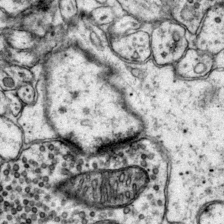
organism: Mouse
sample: Primary visual cortex